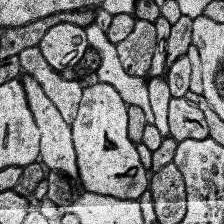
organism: Human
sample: Temporal Lobe